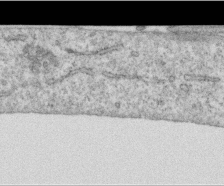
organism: Human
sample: Centriole in RPE cells